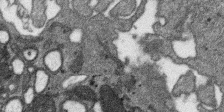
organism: Human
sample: Lung epithelial cells infected with SARS-CoV-2